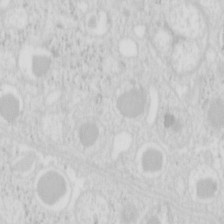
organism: Mouse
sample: Pancreas